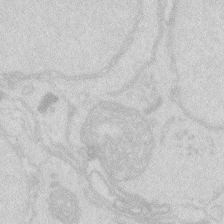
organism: Zebrafish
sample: Macrophage